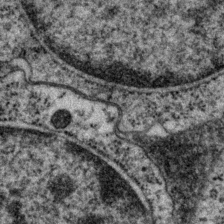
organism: P. pacificus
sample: Pharynx